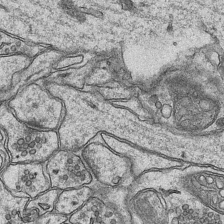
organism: Mouse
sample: CA1 Hippocampus